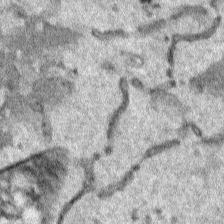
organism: Human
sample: Mitochondria in HCT116 cells